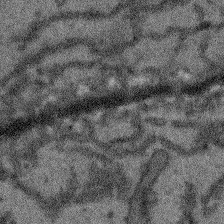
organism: Arabidopsis thaliana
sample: Root tip